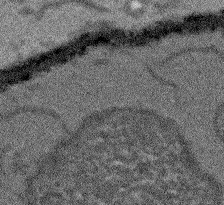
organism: Arabidopsis thaliana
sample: Root tip